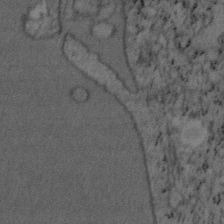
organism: Human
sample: HeLa cells